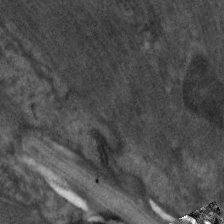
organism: C. elegans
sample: Pharynx